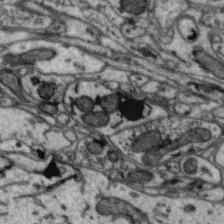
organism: Zebra finch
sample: Brain